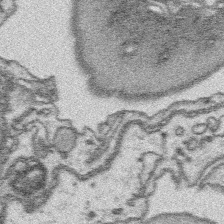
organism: Platynereis dumerilii